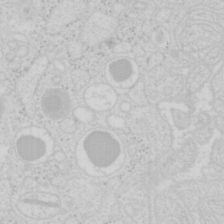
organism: Mouse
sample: Pancreas